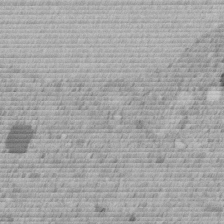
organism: C. elegans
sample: C. elegans embryo early stage